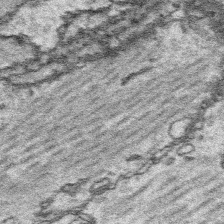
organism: Platynereis dumerilii